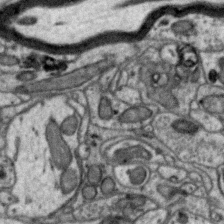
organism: Zebra finch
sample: Brain